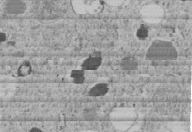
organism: C. elegans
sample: C. elegans embryo early stage